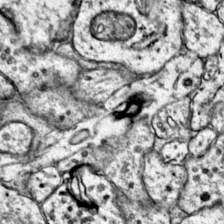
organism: Mouse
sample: Primary visual cortex